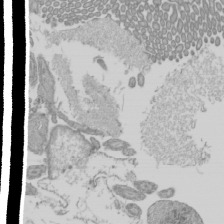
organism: Mouse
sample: Cilia; mouse epididymis